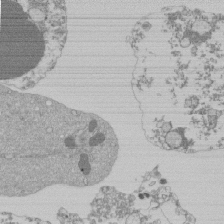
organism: Mouse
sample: Activated Pmel transgenic CD8+ T Cells